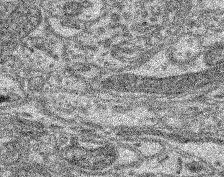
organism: Mouse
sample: Retina